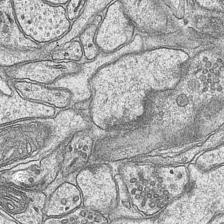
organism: Mouse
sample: CA1 Hippocampus